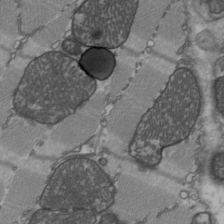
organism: C57BL Mouse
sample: Heart